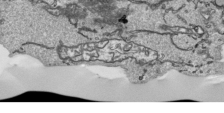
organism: Human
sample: Mitochondria in HCT116 cells